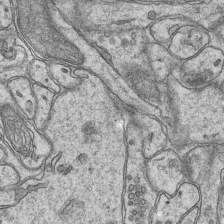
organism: Mouse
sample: CA1 Hippocampus